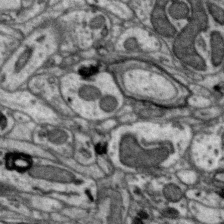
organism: Zebra finch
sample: Brain